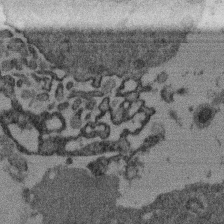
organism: Mouse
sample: Dividing mouse embryo 1 cell stage